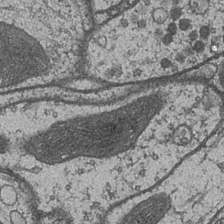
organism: Drosophila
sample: Optic medulla